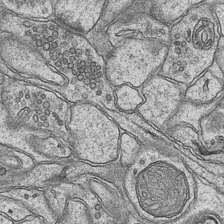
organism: Mouse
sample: CA1 Hippocampus